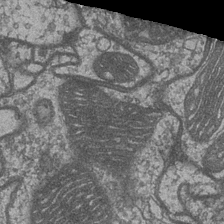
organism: Drosophila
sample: Optic medulla